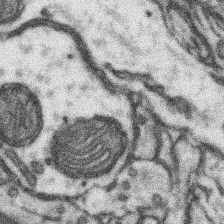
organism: Mouse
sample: Somatosensory cortex neuropil